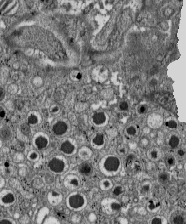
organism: C57BL Mouse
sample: Pancreatic islet